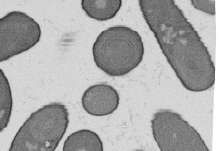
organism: B. subtilis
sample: Bacterial spore